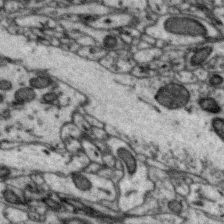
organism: Zebra finch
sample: Brain